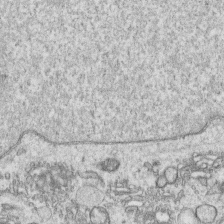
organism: Human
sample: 1205lu cells